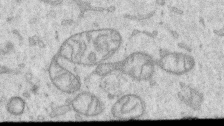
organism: Human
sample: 1205lu cells